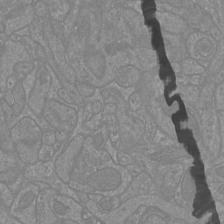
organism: Mouse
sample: Cortical neurons